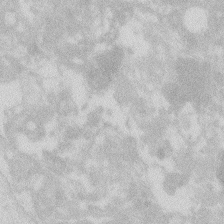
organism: Zebrafish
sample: Macrophage